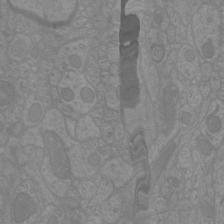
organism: Mouse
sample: Cortical neurons